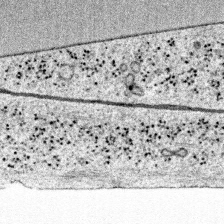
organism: Human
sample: HeLa cells